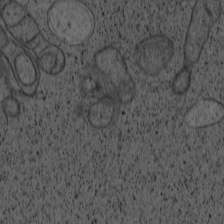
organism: African green monkey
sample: COS-7 cells